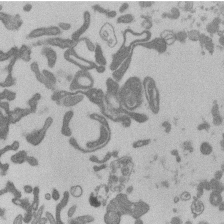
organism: Mouse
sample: Dividing mouse embryo 1 cell stage